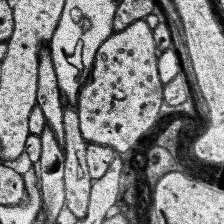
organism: Human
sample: Temporal Lobe